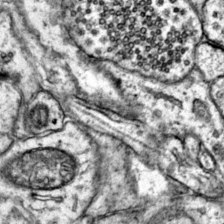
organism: Mouse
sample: Primary visual cortex